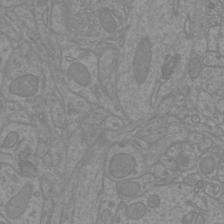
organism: Mouse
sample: Cortical neurons